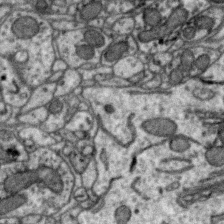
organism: Zebra finch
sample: Brain